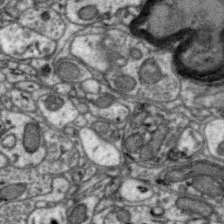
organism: Zebra finch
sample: Brain